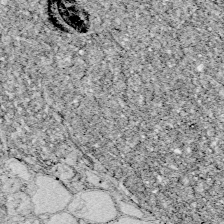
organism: Zebrafish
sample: Whole-Brain